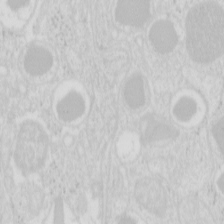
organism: Mouse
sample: Pancreas